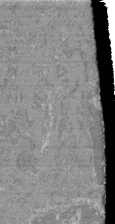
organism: Mouse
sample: Glomerulus